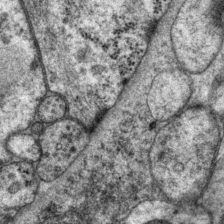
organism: P. pacificus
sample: Pharynx